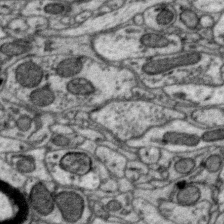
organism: Zebra finch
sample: Brain